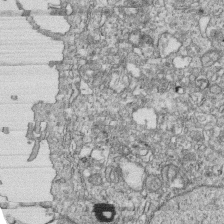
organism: Human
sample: HeLa cell HIV synapse